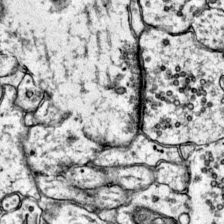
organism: Mouse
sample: Primary visual cortex